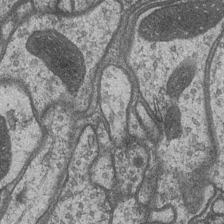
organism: Drosophila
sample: Optic medulla